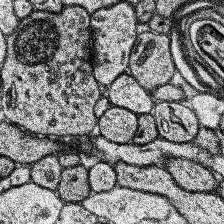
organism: Human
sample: Temporal Lobe